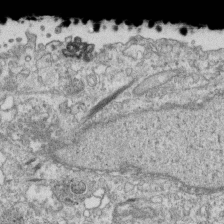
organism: Human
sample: HeLa cell HIV synapse